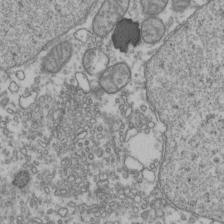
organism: Human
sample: Activated Jurkat CD4+ T cells